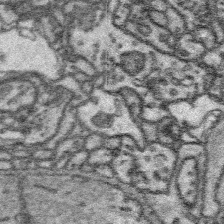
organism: Platynereis dumerilii